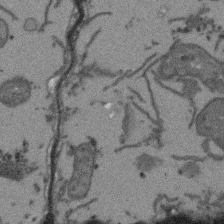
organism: Arabidopsis thaliana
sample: Root tip